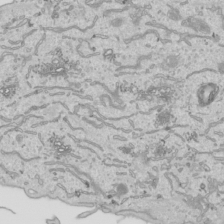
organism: Human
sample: Mitochondria in HCT116 cells